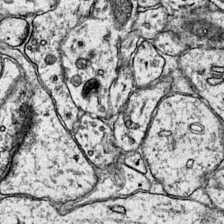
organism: Mouse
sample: Primary visual cortex